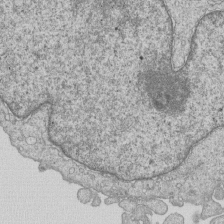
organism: Human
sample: MDA-MB-231 cells